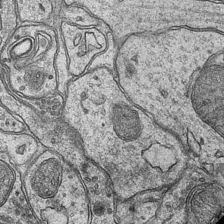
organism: Mouse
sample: CA1 Hippocampus